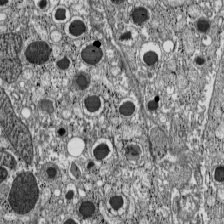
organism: C57BL Mouse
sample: Pancreatic islet